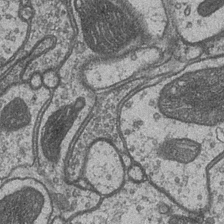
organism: Drosophila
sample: Optic medulla